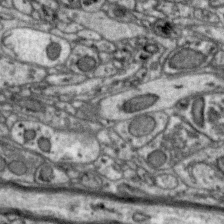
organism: Zebra finch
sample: Brain